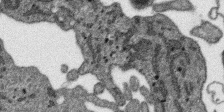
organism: Human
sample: Lung epithelial cells infected with SARS-CoV-2